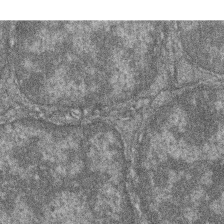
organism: Zebrafish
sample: Cilia; retinal pigment epithelium